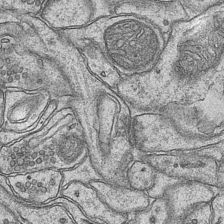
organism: Mouse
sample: CA1 Hippocampus